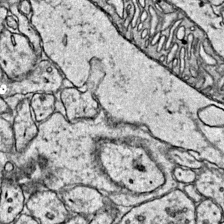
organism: Mouse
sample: Primary visual cortex